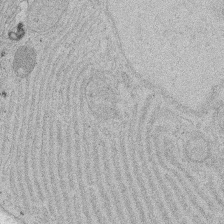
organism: Rat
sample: Salivary granule